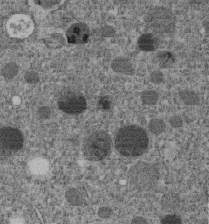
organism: C. elegans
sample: C. elegans embryo early stage